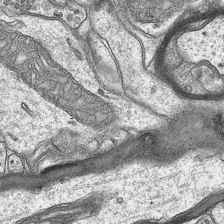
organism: Mouse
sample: CA1 Hippocampus